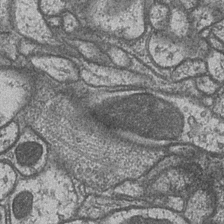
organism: Drosophila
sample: Optic medulla